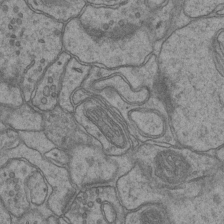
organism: Mouse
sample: CA1 Hippocampus